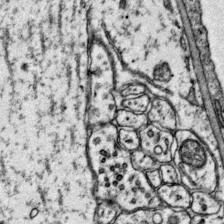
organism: Mouse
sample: Primary visual cortex